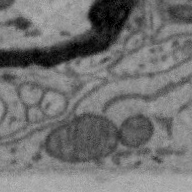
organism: Zebra finch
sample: Brain